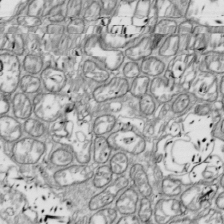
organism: Drosophila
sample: Cell division; meiosis; drosophila spermatocytes